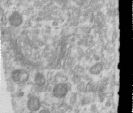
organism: Human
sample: Centriole in RPE cells